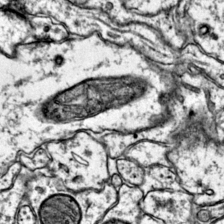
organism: Mouse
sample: Primary visual cortex